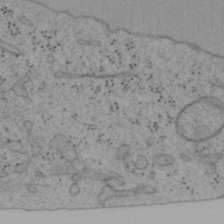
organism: Human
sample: HeLa cells